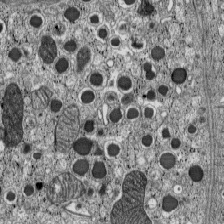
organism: C57BL Mouse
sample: Pancreatic islet